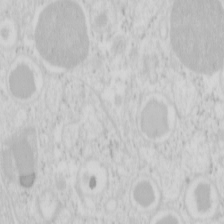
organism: Mouse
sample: Pancreas